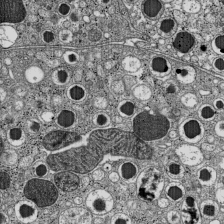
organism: C57BL Mouse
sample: Pancreatic islet